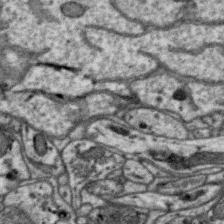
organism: Zebra finch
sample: Brain